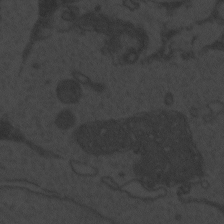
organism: Zebrafish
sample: Macrophage infected with Toxoplasma gondii